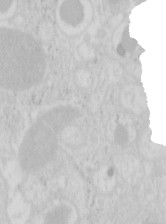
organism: Mouse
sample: Pancreas